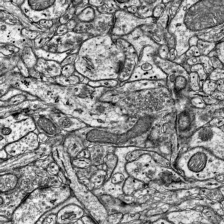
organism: Mouse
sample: Visual Cortex